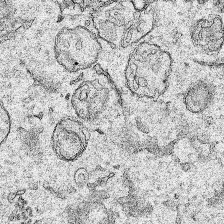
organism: Human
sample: Mitochondria in HCT116 cells